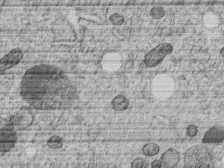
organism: C. elegans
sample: C. elegans embryo early stage